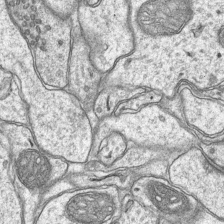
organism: Mouse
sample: CA1 Hippocampus